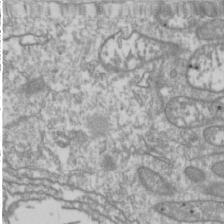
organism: Drosophila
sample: Cell division; meiosis; drosophila spermatocytes